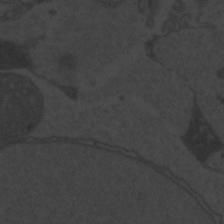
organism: Zebrafish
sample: Macrophage infected with Toxoplasma gondii